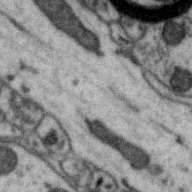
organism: Zebra finch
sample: Brain